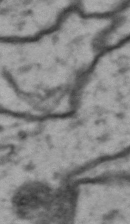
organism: Drosophila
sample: Brain